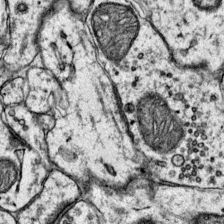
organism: Mouse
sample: Primary visual cortex